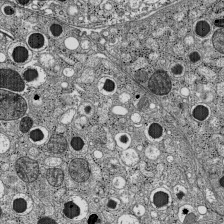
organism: C57BL Mouse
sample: Pancreatic islet